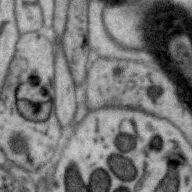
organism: Zebra finch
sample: Brain